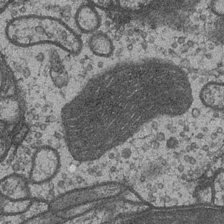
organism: Drosophila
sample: Optic medulla